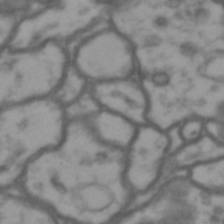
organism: Drosophila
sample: Brain